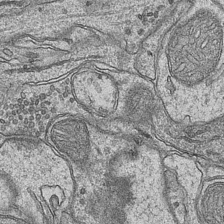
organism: Mouse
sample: CA1 Hippocampus